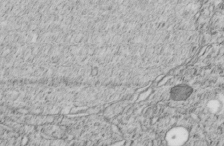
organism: C. elegans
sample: C. elegans embryo early stage